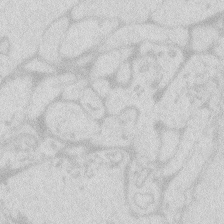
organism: Zebrafish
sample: Macrophage